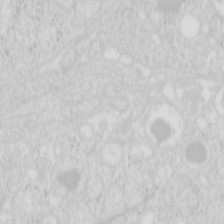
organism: Mouse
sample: Pancreas